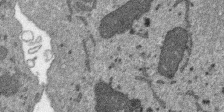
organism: Human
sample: Lung epithelial cells infected with SARS-CoV-2